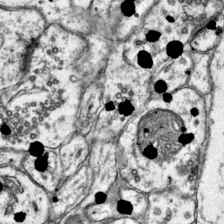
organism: Mouse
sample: Primary visual cortex